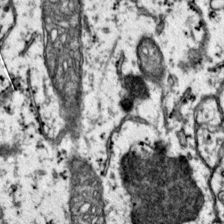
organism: Mouse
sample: Primary visual cortex